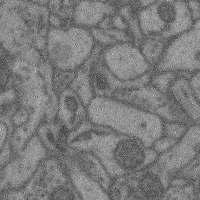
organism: Mouse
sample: Cerebral cortex